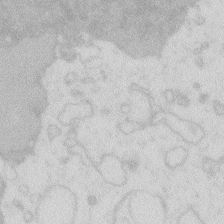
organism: Zebrafish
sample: Macrophage